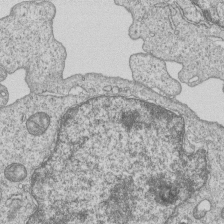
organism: Human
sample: MDA-MB-231 cells